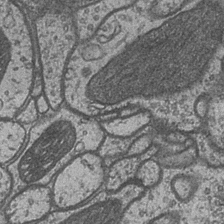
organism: Drosophila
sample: Optic medulla